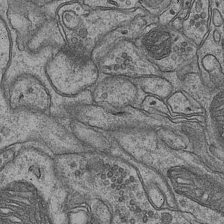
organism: Mouse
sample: CA1 Hippocampus